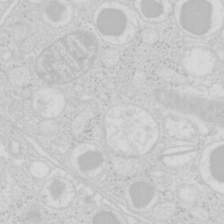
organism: Mouse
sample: Pancreas